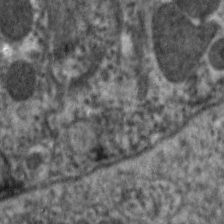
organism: C. elegans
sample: Pharynx